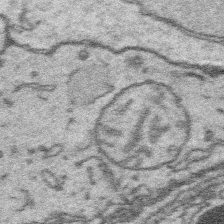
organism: Platynereis dumerilii